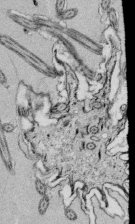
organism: Tetrahymena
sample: Cilia in tetrahymena